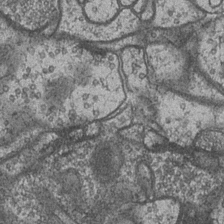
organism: Drosophila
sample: Optic medulla